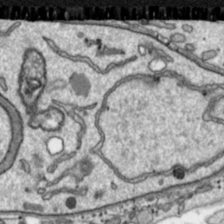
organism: Toxoplasma gondii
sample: Parasites in a vacuole inside a host cell